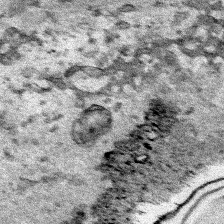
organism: Human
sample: Mitochondria in HCT116 cells